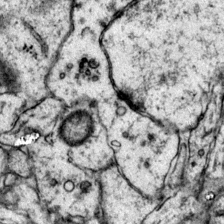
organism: Mouse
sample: Primary visual cortex